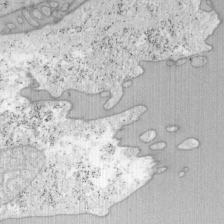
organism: Mouse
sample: OT-I killer T cells with ID8 ovarian cancer cells